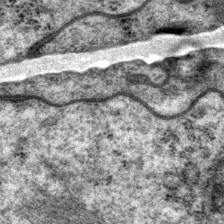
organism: P. pacificus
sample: Pharynx